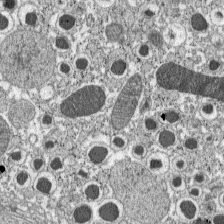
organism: C57BL Mouse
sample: Pancreatic islet